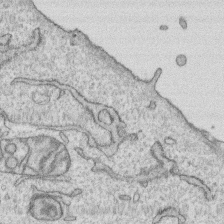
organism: Human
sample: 1205lu cells